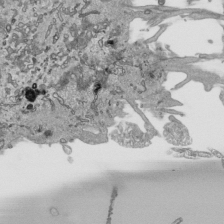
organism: Human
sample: Mitochondria in HCT116 cells